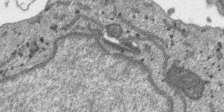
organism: Human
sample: Lung epithelial cells infected with SARS-CoV-2